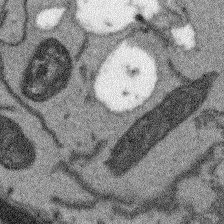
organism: Arabidopsis thaliana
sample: Root tip